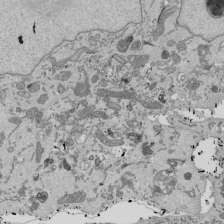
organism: Mouse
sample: ED-1 cell nuclei; centrioles